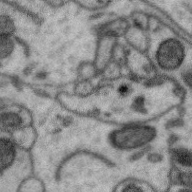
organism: Zebra finch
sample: Brain